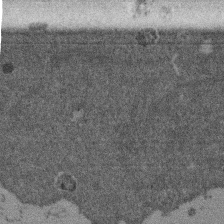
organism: Mouse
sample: Dividing mouse embryo 1 cell stage